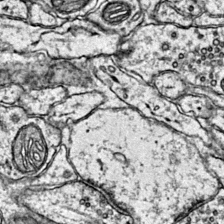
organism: Mouse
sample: Primary visual cortex